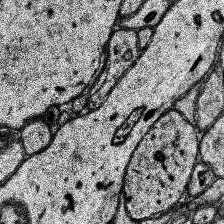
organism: Human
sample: Temporal Lobe